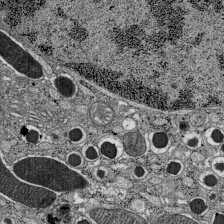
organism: C57BL Mouse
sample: Pancreatic islet